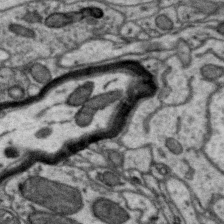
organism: Zebra finch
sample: Brain